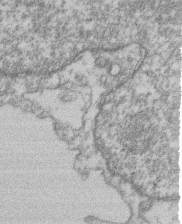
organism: Mouse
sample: T cell stromal cell synapse